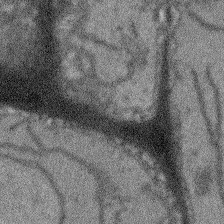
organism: Arabidopsis thaliana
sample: Root tip